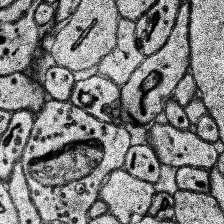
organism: Human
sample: Temporal Lobe